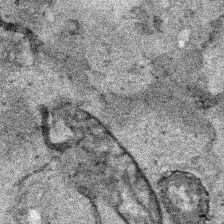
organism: Human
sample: Mitochondria in HCT116 cells